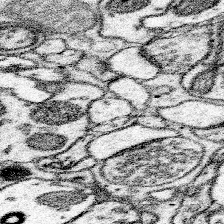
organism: Mouse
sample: Somatosensory cortex neuropil